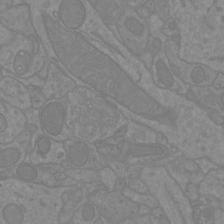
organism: Mouse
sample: Cortical neurons